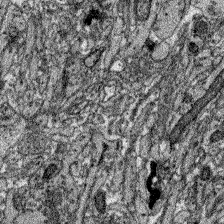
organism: Zebrafish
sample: Larval olfactory bulb